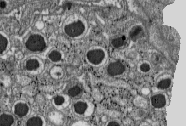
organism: C57BL Mouse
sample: Pancreatic islet